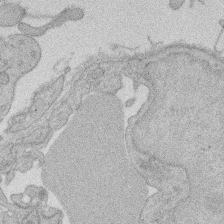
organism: Rat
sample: Salivary granule